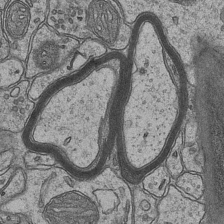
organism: Mouse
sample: CA1 Hippocampus